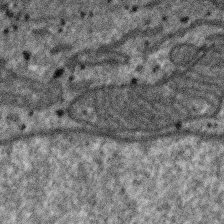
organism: Human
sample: Lung epithelial cells infected with SARS-CoV-2